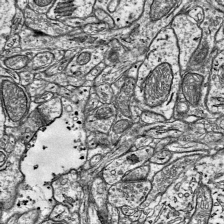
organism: Mouse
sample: Visual Cortex